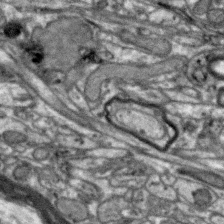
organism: Zebra finch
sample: Brain